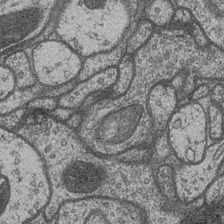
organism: Drosophila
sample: Optic medulla